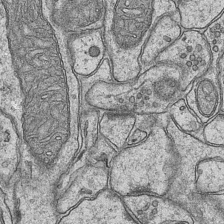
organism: Mouse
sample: CA1 Hippocampus